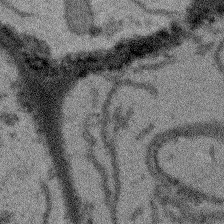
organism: Arabidopsis thaliana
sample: Root tip